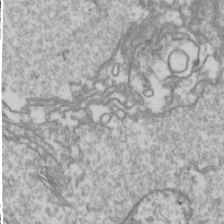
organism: Drosophila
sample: Cell division; meiosis; drosophila spermatocytes